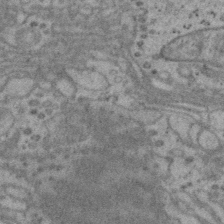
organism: Human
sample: HeLa cells